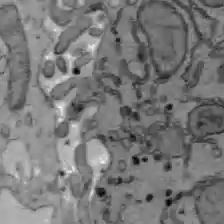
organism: C57BL Mouse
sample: Liver